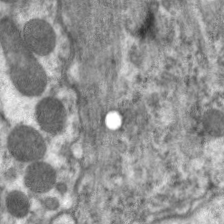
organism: C. elegans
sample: Pharynx